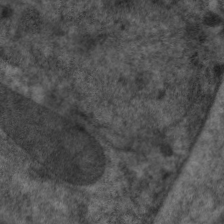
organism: C. elegans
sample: Pharynx